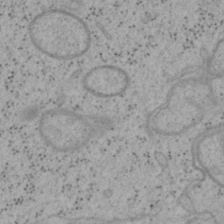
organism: Human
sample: HeLa cells